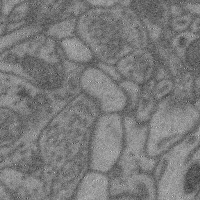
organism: Mouse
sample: Cerebral cortex